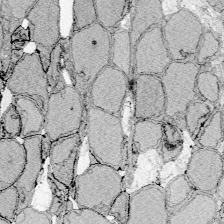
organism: Zebrafish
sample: Whole-Brain